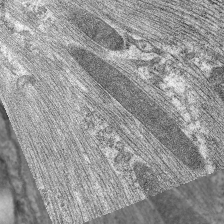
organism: C. elegans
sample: Pharynx